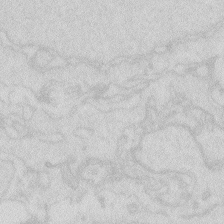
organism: Zebrafish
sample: Macrophage